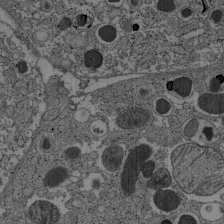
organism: C57BL Mouse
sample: Pancreatic islet